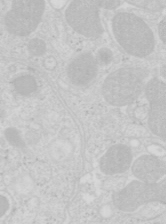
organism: Mouse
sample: Pancreas